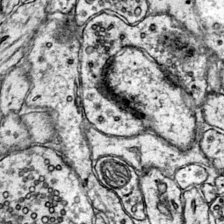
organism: Mouse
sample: Primary visual cortex